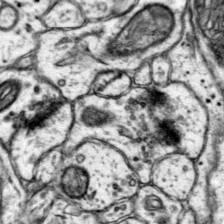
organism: Mouse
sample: Primary visual cortex